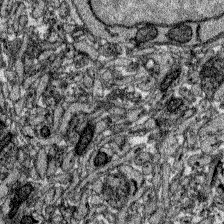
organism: Zebrafish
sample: Larval olfactory bulb